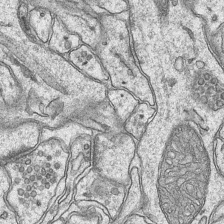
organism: Mouse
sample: CA1 Hippocampus